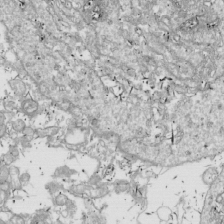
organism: Drosophila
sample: Cell division; meiosis; drosophila spermatocytes